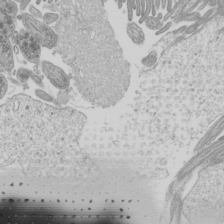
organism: Mouse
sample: Cilia; mouse epididymis